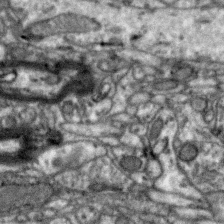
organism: Zebra finch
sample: Brain